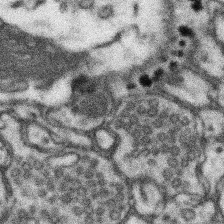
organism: Mouse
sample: Somatosensory cortex neuropil